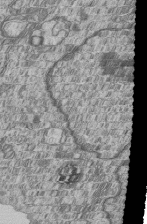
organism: Human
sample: MDA-MB-231 cells